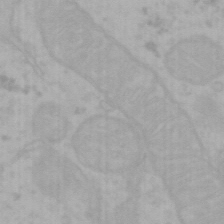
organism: Mouse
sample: Choroid plexus